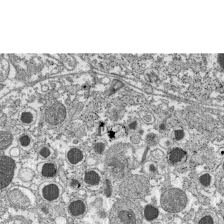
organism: C57BL Mouse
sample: Pancreatic islet